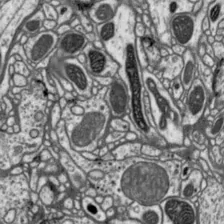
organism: Drosophila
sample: Protocerebral bridge